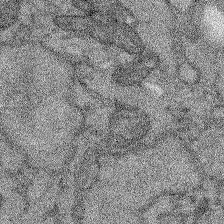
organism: Human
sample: HeLa cells